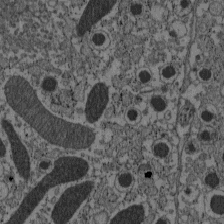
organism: C57BL Mouse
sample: Pancreatic islet